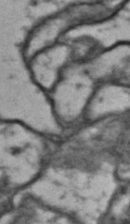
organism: Drosophila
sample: Brain